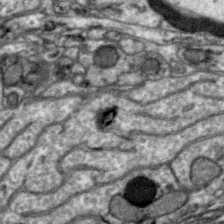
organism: Zebra finch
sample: Brain